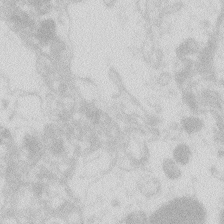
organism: Zebrafish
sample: Macrophage